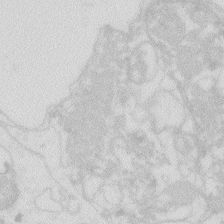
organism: Zebrafish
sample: Macrophage